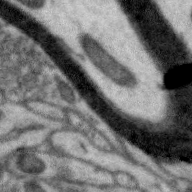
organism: Zebra finch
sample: Brain